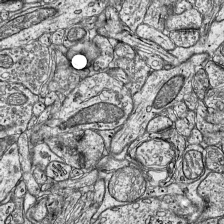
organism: Mouse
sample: Visual Cortex